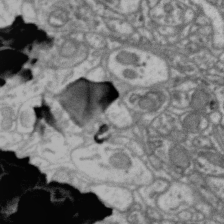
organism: Zebra finch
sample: Brain